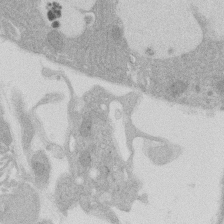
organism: Rat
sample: Salivary granule